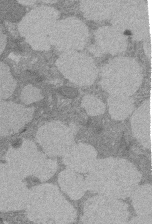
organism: Rat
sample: Salivary granule